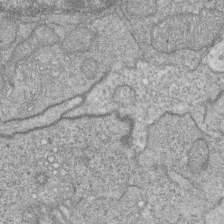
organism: Zebrafish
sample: Cilia; retinal pigment epithelium